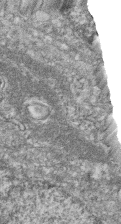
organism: Zebrafish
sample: Cilia; retinal pigment epithelium